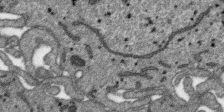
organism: Human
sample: Lung epithelial cells, uninfected (mock) control